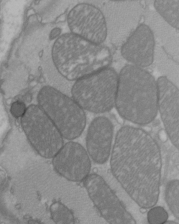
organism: C57BL Mouse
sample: Heart